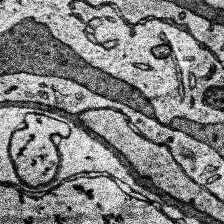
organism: Human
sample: Temporal Lobe